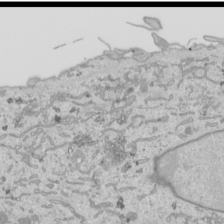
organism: Human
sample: Mitochondria in HCT116 cells